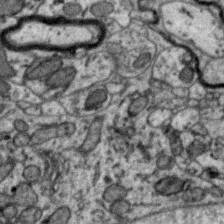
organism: Zebra finch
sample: Brain